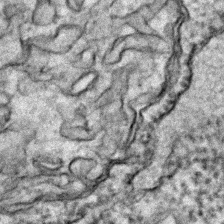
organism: Zebrafish